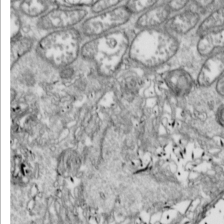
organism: Drosophila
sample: Cell division; meiosis; drosophila spermatocytes